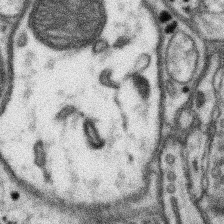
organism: Mouse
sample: Somatosensory cortex neuropil